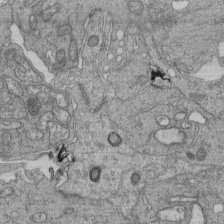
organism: Human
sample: Retinal organoid Rod and Cone cells